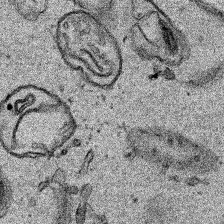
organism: Human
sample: Mitochondria in HCT116 cells